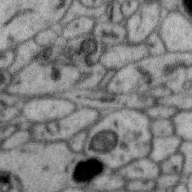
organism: Zebra finch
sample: Brain